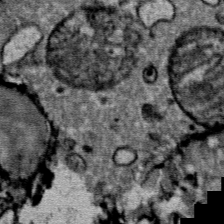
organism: Mouse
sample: Mouse Salivary gland